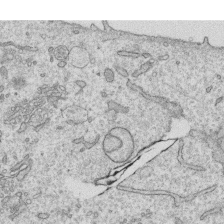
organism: Human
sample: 1205lu cells